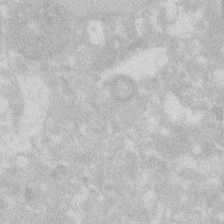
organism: Zebrafish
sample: Macrophage